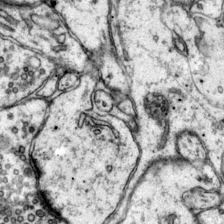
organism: Mouse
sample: Primary visual cortex